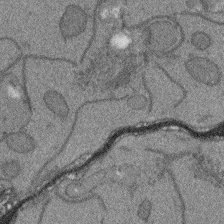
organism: Arabidopsis thaliana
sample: Root tip